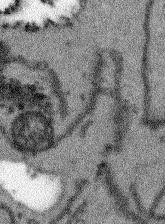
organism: Arabidopsis thaliana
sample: Root tip